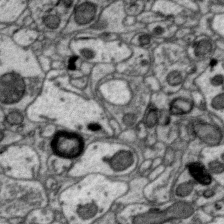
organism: Zebra finch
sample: Brain